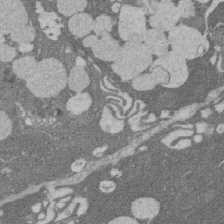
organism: Rat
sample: Salivary granule